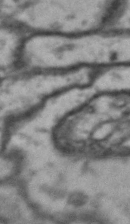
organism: Drosophila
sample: Brain